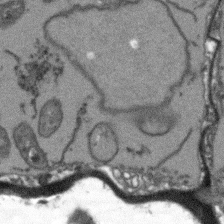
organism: Arabidopsis thaliana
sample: Root tip